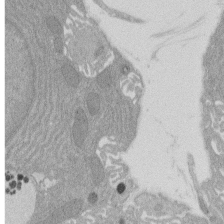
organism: Rat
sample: Salivary granule